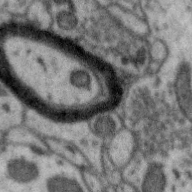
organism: Zebra finch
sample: Brain